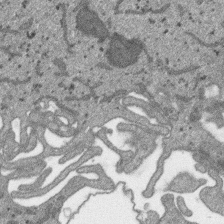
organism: Human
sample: Lung epithelial cells infected with SARS-CoV-2